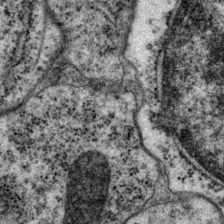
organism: P. pacificus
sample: Pharynx